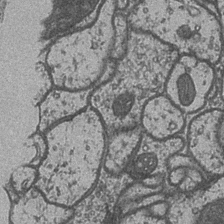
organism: Drosophila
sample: Optic medulla